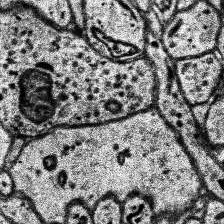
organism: Human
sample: Temporal Lobe